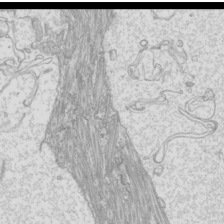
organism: Mouse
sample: Cilia; mouse epididymis